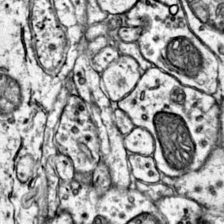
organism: Mouse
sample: Primary visual cortex